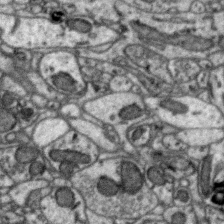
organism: Zebra finch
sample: Brain